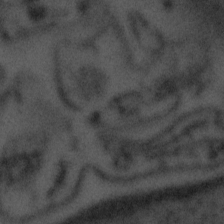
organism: Tuwongella immobilis